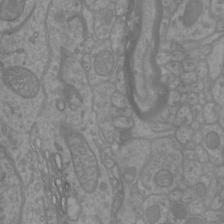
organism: Mouse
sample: Cortical neurons